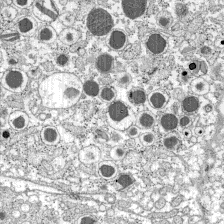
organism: C57BL Mouse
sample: Pancreatic islet